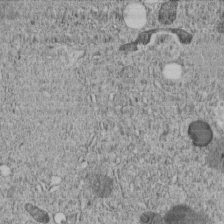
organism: C. elegans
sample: C. elegans embryo early stage